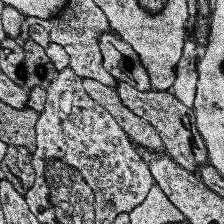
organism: Human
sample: Temporal Lobe